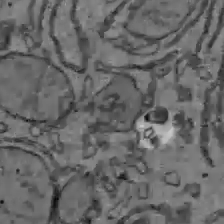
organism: C57BL Mouse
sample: Liver